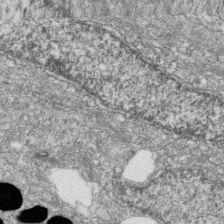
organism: Zebrafish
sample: Cilia; retinal pigment epithelium